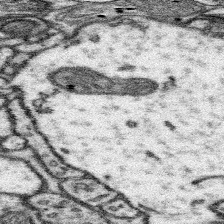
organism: Mouse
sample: Somatosensory cortex neuropil